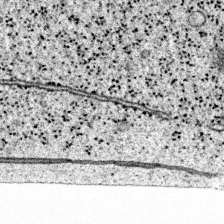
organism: Human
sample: HeLa cells